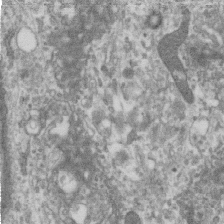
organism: Human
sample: Centriole in RPE cells